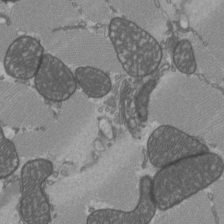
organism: C57BL Mouse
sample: Heart